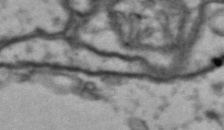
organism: Drosophila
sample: Brain